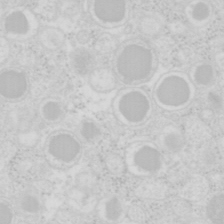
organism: Mouse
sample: Pancreas